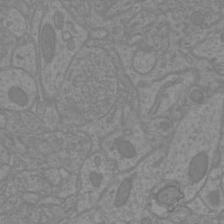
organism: Mouse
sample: Cortical neurons